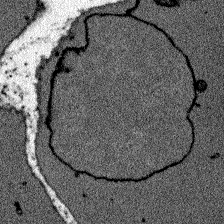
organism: Zebrafish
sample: Larval olfactory bulb